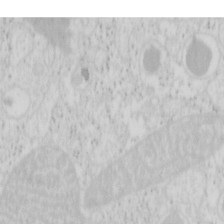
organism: Mouse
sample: Pancreas